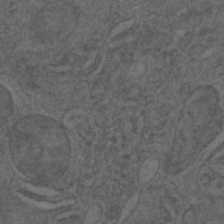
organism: C. elegans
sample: C. elegans embryo